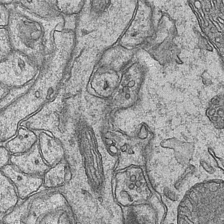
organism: Mouse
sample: CA1 Hippocampus